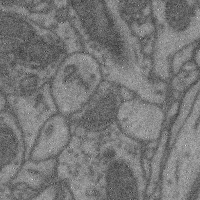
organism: Mouse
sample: Cerebral cortex